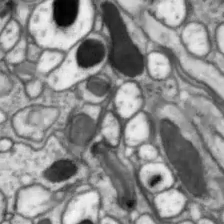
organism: Drosophila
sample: Optic lobe